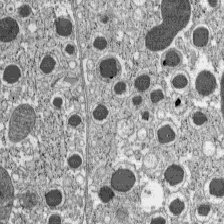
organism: C57BL Mouse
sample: Pancreatic islet